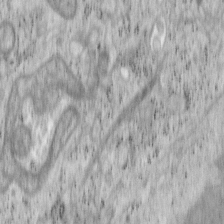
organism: Human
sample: HeLa cells